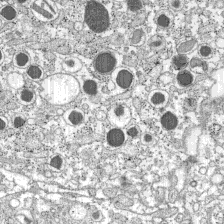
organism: C57BL Mouse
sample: Pancreatic islet